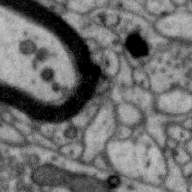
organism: Zebra finch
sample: Brain